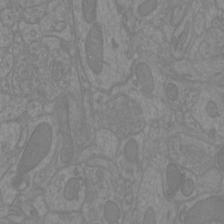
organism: Mouse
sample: Cortical neurons